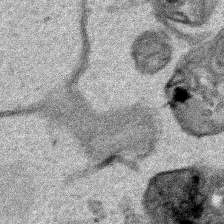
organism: Human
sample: Mitochondria in HCT116 cells